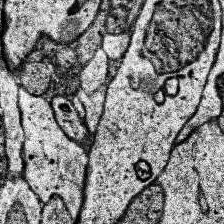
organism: Human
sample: Temporal Lobe